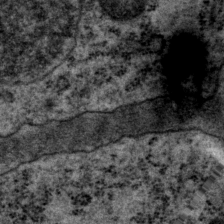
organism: P. pacificus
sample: Pharynx